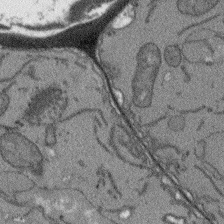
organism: Arabidopsis thaliana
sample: Root tip